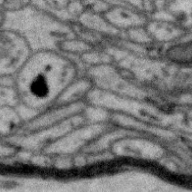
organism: Zebra finch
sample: Brain